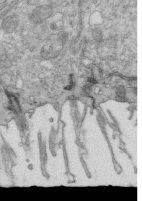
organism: Mouse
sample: Multiciliated cells